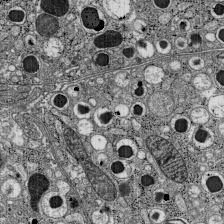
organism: C57BL Mouse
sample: Pancreatic islet